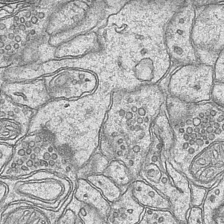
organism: Mouse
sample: CA1 Hippocampus